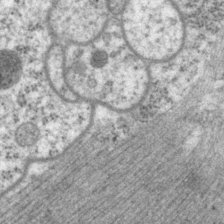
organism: P. pacificus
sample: Pharynx